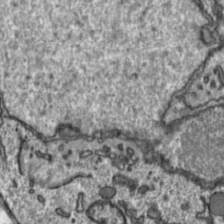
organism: Toxoplasma gondii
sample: Parasites in a vacuole inside a host cell